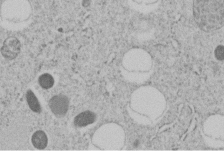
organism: C. elegans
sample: C. elegans embryo early stage